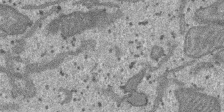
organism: Human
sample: Lung epithelial cells infected with SARS-CoV-2